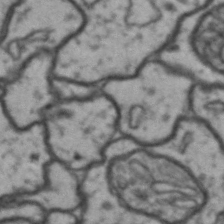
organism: Drosophila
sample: Brain